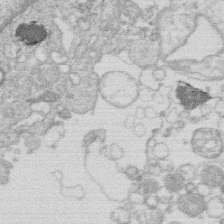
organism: Human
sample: Macrophage cells